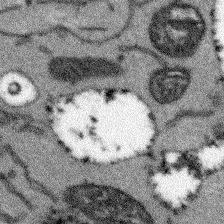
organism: Arabidopsis thaliana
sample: Root tip